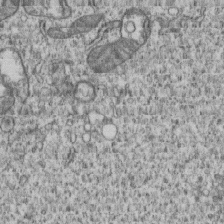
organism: Human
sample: MDA-MB-231 cells